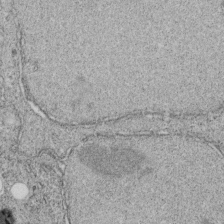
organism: C. elegans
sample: C. elegans embryo early stage